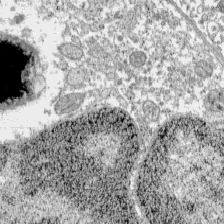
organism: C57BL Mouse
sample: Pancreatic islet